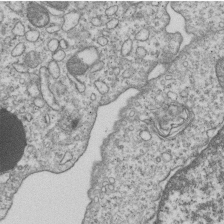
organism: Human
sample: MDA-MB-231 cells